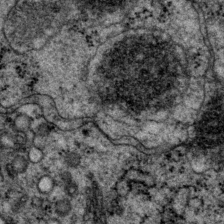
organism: P. pacificus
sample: Pharynx